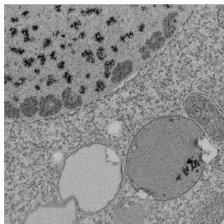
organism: Tetrahymena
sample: Cilia in tetrahymena